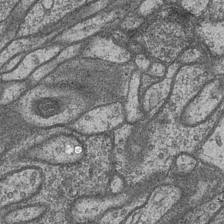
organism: Drosophila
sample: Optic medulla